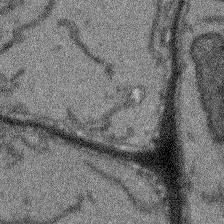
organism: Arabidopsis thaliana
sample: Root tip